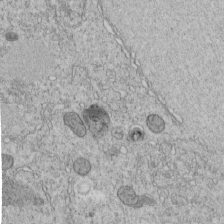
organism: C. elegans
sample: C. elegans embryo early stage